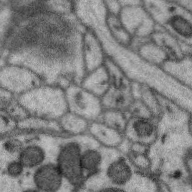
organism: Zebra finch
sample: Brain